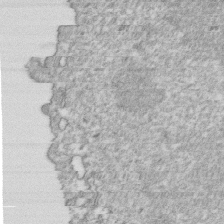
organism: Mouse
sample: Activated OT-1 CD8+ T cells